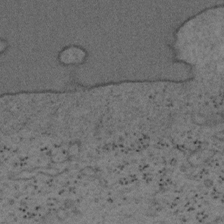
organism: Human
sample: HeLa cells